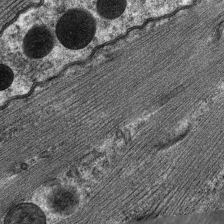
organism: C. elegans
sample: Pharynx